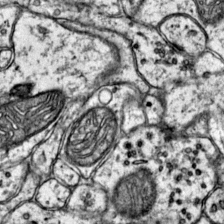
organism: Mouse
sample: Primary visual cortex